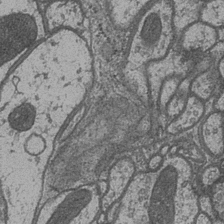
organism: Drosophila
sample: Optic medulla